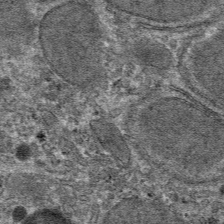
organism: Mouse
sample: Mouse hepatocytes